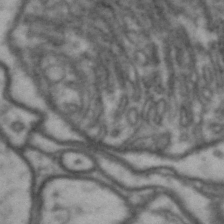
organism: Drosophila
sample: Brain